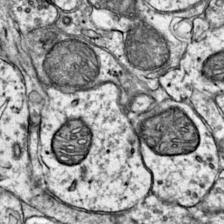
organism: Mouse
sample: Primary visual cortex